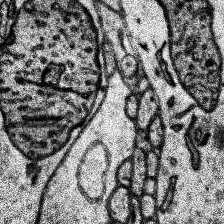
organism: Human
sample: Temporal Lobe